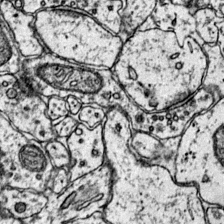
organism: Mouse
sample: Primary visual cortex